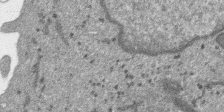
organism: Human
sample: Lung epithelial cells infected with SARS-CoV-2